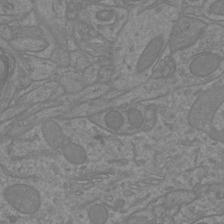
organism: Mouse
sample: Cortical neurons